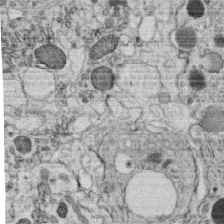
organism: C. elegans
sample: C. elegans oocyte; sperm cells